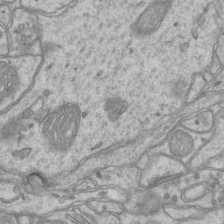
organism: Mouse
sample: CA1 Hippocampus